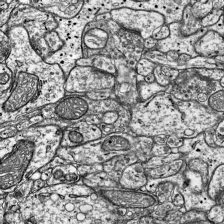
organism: Mouse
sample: Visual Cortex